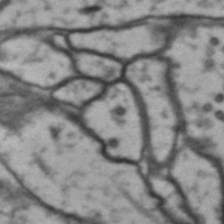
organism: Drosophila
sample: Brain